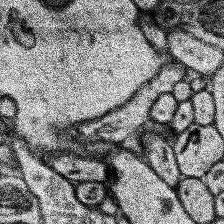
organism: Human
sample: Temporal Lobe